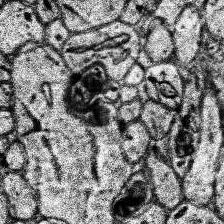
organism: Human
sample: Temporal Lobe